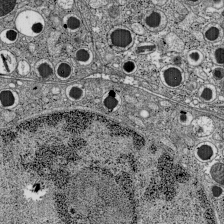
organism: C57BL Mouse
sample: Pancreatic islet